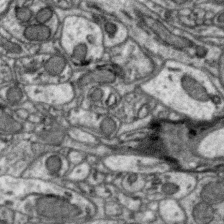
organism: Zebra finch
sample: Brain